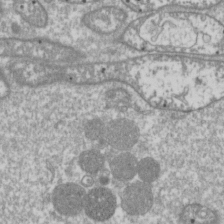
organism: Drosophila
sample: Cell division; meiosis; drosophila spermatocytes